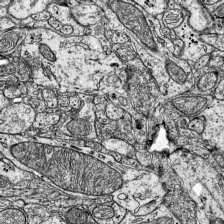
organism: Mouse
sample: Visual Cortex